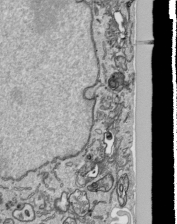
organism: Human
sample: Mitochondria in HCT116 cells